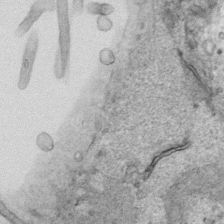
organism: Human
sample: Mitochondria in HCT116 cells